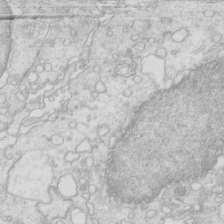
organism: Mouse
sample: Multiciliated cells